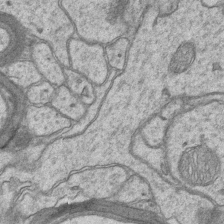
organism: Mouse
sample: CA1 Hippocampus